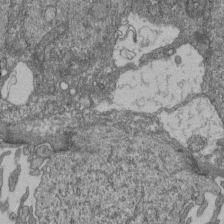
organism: Human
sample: Retinal organoid Rod and Cone cells